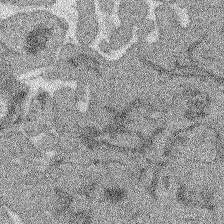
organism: Human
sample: HeLa cells